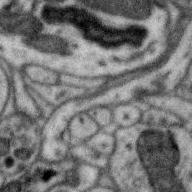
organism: Zebra finch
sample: Brain